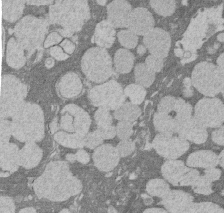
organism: Rat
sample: Salivary granule